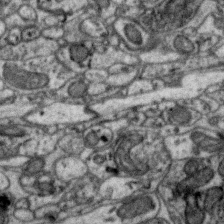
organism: Zebra finch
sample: Brain